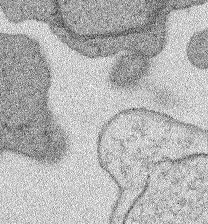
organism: Human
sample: HeLa cells